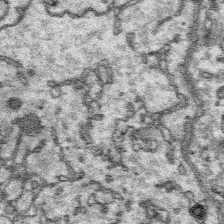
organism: Platynereis dumerilii